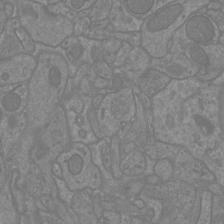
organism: Mouse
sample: Cortical neurons